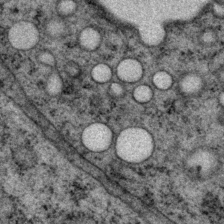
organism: P. pacificus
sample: Pharynx